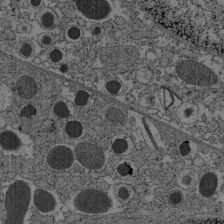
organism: C57BL Mouse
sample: Pancreatic islet